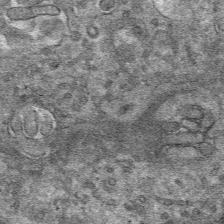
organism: Mouse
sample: Mouse hepatocytes